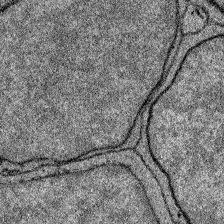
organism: Zebrafish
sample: Larval olfactory bulb